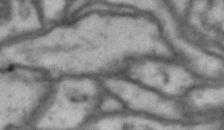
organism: Drosophila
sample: Brain